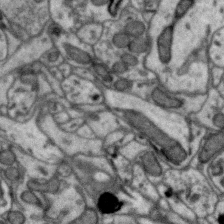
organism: Zebra finch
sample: Brain